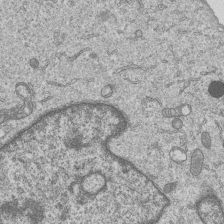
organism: Human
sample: MDA-MB-231 cells